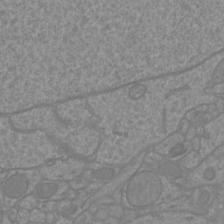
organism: Mouse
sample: Cortical neurons